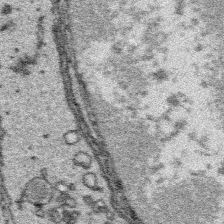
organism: Platynereis dumerilii